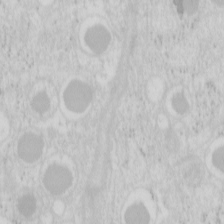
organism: Mouse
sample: Pancreas